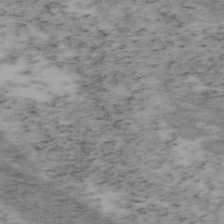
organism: Mouse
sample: OT-I killer T cells with ID8 ovarian cancer cells